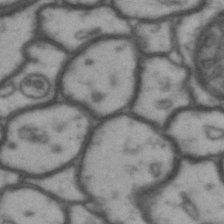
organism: Drosophila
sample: Brain